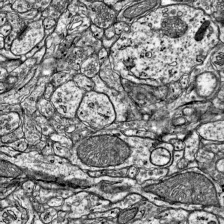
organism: Mouse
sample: Visual Cortex